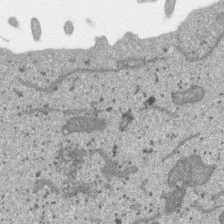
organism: Human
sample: Lung epithelial cells infected with SARS-CoV-2